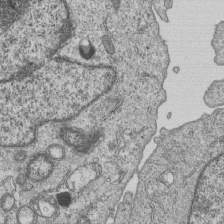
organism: Human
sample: MDA-MB-231 cells